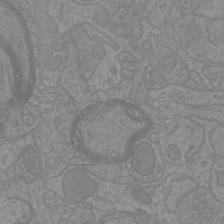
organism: Mouse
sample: Cortical neurons